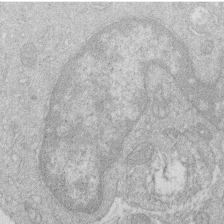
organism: Human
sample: Macrophage cells